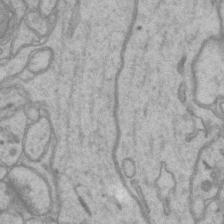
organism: Mouse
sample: CA1 Hippocampus